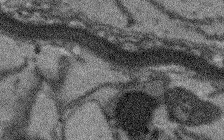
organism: Arabidopsis thaliana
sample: Root tip